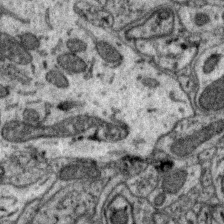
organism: Zebra finch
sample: Brain